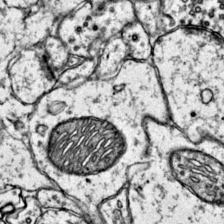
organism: Mouse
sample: Primary visual cortex